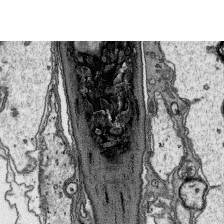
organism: Platynereis dumerilii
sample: Parapodia